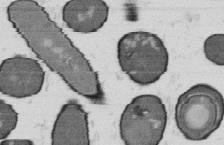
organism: B. subtilis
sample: Bacterial spore